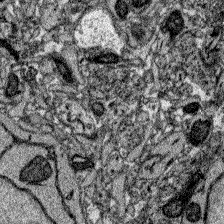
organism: Zebrafish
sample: Larval olfactory bulb